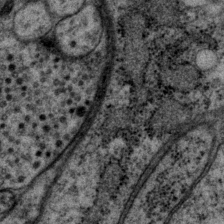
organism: P. pacificus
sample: Pharynx